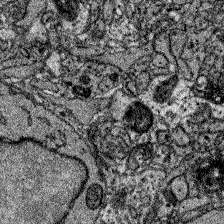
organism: Zebrafish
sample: Larval olfactory bulb